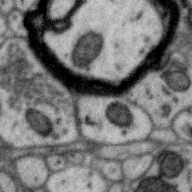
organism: Zebra finch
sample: Brain